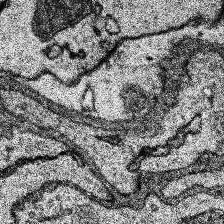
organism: Human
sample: Temporal Lobe